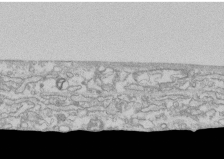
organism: Human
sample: CRL-1474